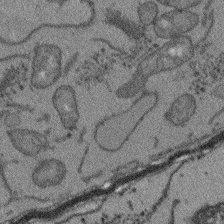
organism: Arabidopsis thaliana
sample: Root tip